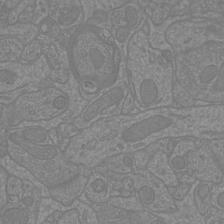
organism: Mouse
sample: Cortical neurons